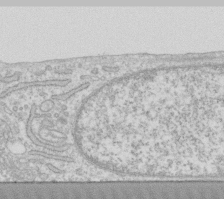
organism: Human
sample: Fibroblast cells